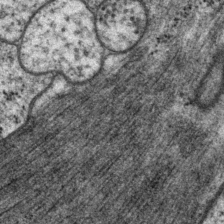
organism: P. pacificus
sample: Pharynx